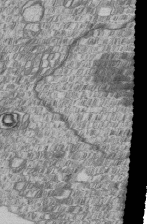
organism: Human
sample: MDA-MB-231 cells